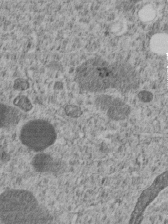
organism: C. elegans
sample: C. elegans embryo early stage